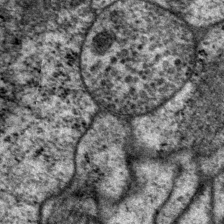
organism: P. pacificus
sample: Pharynx